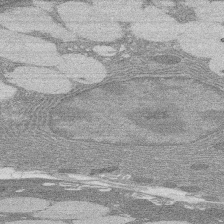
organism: Rat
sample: Salivary granule